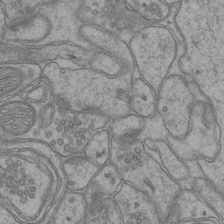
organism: Mouse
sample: CA1 Hippocampus